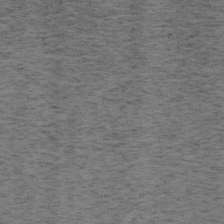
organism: Mouse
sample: OT-I killer T cells with ID8 ovarian cancer cells